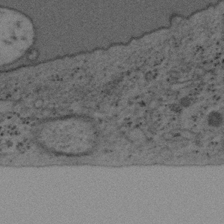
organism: Human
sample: HeLa cells